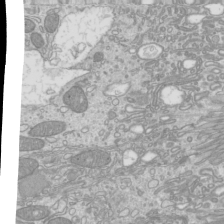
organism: Mouse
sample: Cilia; mouse epididymis